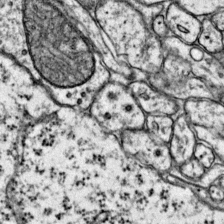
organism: Mouse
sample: Primary visual cortex